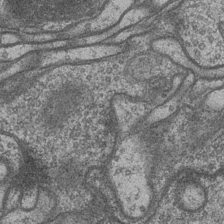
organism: Drosophila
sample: Optic medulla